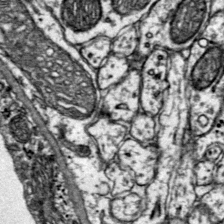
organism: Mouse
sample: Primary visual cortex